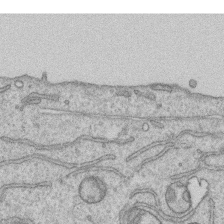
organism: Human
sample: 1205lu cells